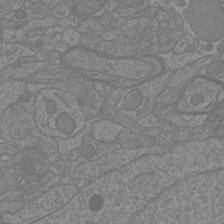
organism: Mouse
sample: Cortical neurons